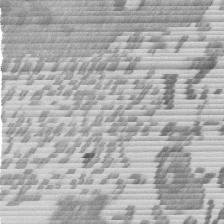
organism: Mouse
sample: Dividing mouse embryo 1 cell stage